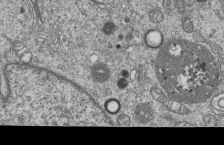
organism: Human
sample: MDA-MB-231 cells